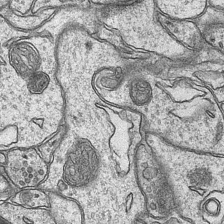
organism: Mouse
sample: CA1 Hippocampus